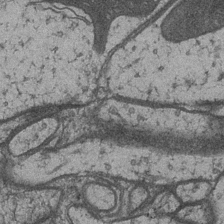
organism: Drosophila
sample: Optic medulla